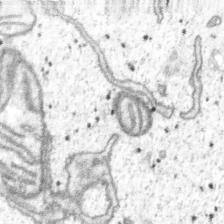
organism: Human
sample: HeLa cells